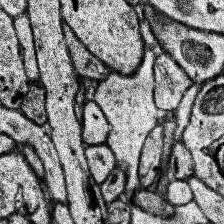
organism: Human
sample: Temporal Lobe